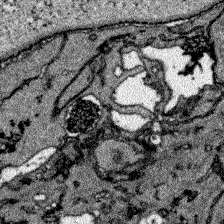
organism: Zebrafish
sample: Larval olfactory bulb